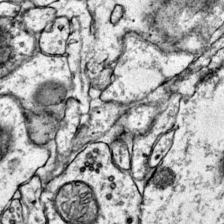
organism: Mouse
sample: Primary visual cortex